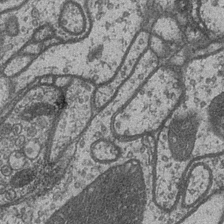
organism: Drosophila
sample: Optic medulla